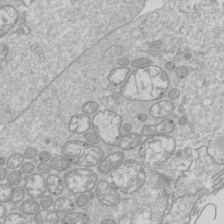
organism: Drosophila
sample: Cell division; meiosis; drosophila spermatocytes